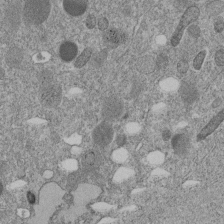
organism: C. elegans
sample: C. elegans embryo early stage